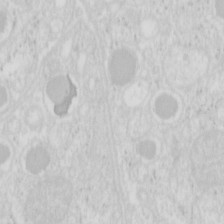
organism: Mouse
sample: Pancreas